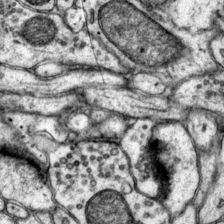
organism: Mouse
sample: Primary visual cortex